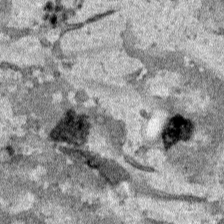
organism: Human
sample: Mitochondria in HCT116 cells